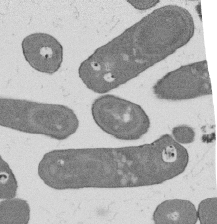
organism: B. subtilis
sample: Bacterial spore